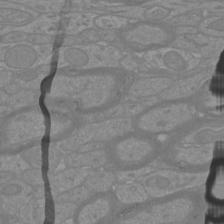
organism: Mouse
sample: Cortical neurons